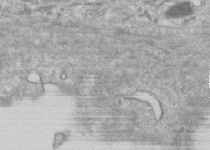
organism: Human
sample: Centriole in RPE cells